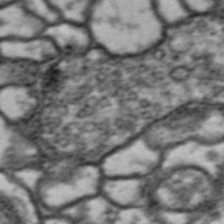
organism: Drosophila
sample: Brain